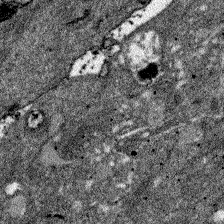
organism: Zebrafish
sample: Larval olfactory bulb